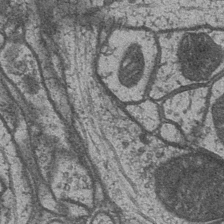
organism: Drosophila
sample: Optic medulla